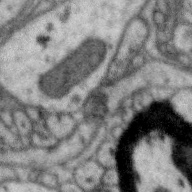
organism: Zebra finch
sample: Brain